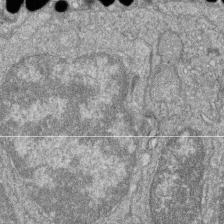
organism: Zebrafish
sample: Cilia; retinal pigment epithelium